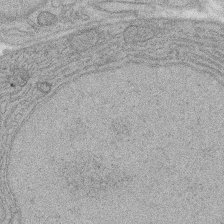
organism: Rat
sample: Salivary granule